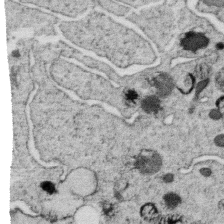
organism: C. elegans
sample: C. elegans oocyte; sperm cells